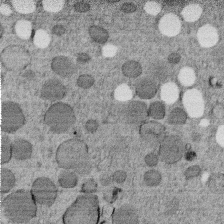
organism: C. elegans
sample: C. elegans embryo early stage